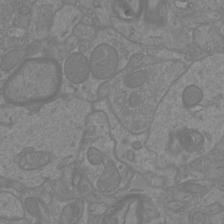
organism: Mouse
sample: Cortical neurons